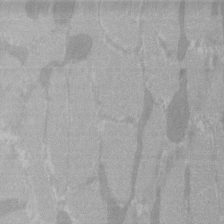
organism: C57BL Mouse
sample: Tibialis anterior muscle cell